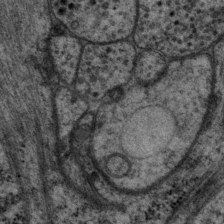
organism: P. pacificus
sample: Pharynx